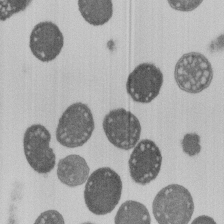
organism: E. coli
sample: Bacterial nucleoid